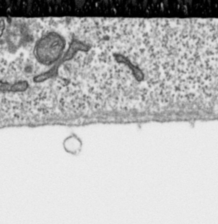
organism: Toxoplasma gondii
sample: Parasites in a vacuole inside a host cell